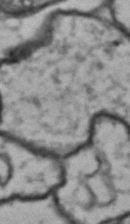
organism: Drosophila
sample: Brain